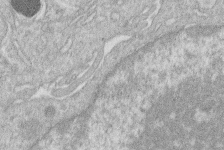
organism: Human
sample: Macrophage cells